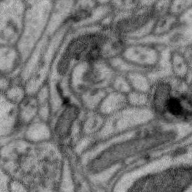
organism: Zebra finch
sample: Brain